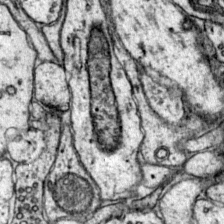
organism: Mouse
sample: Primary visual cortex